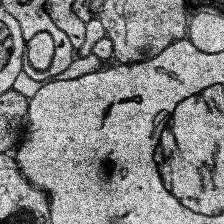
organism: Human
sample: Temporal Lobe